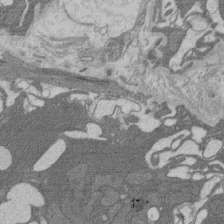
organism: Rat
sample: Salivary granule